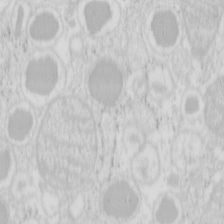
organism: Mouse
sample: Pancreas